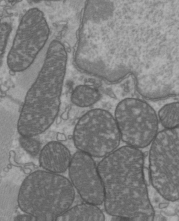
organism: C57BL Mouse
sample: Heart